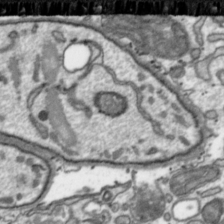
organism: Toxoplasma gondii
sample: Parasites in a vacuole inside a host cell